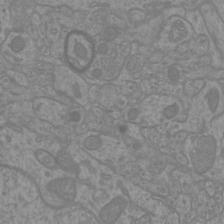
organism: Mouse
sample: Cortical neurons